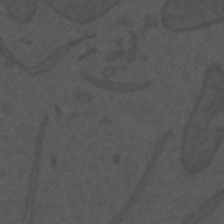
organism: Mouse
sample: Suprachiasmatic nucleus